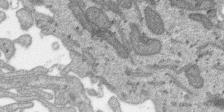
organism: Human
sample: Lung epithelial cells infected with SARS-CoV-2